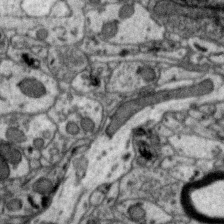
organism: Zebra finch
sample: Brain